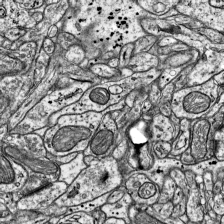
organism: Mouse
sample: Visual Cortex